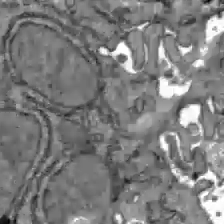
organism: C57BL Mouse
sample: Liver